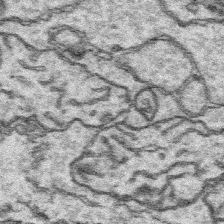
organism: Platynereis dumerilii